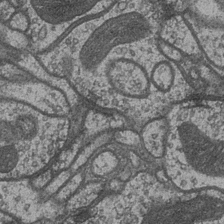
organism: Drosophila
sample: Optic medulla